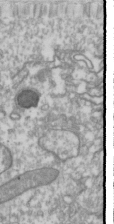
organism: Drosophila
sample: Cell division; meiosis; drosophila spermatocytes